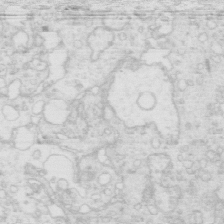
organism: Mouse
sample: Multiciliated cells